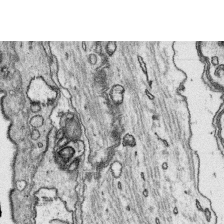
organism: Platynereis dumerilii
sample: Parapodia